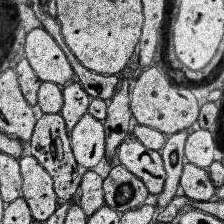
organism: Human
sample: Temporal Lobe